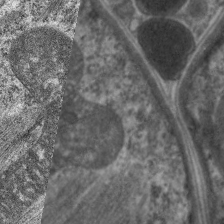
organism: C. elegans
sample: Pharynx